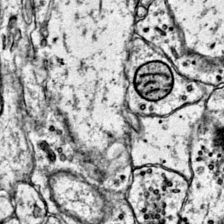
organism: Mouse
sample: Primary visual cortex